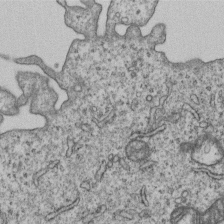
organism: Human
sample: MDA-MB-231 cells